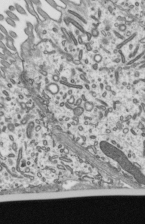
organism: Mouse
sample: Mouse epididymis efferent ductule cilia